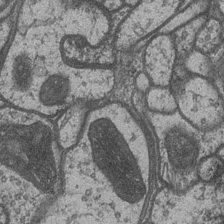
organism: Drosophila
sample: Optic medulla